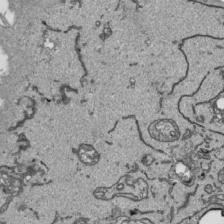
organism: Human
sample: Mitochondria in HCT116 cells